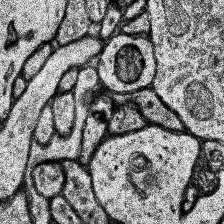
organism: Human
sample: Temporal Lobe